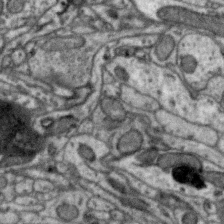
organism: Zebra finch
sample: Brain